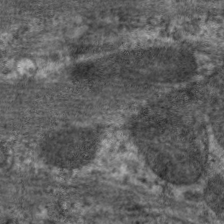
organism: C. elegans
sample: Pharynx